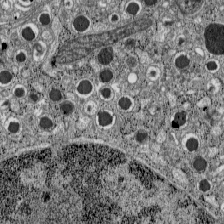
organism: C57BL Mouse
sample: Pancreatic islet